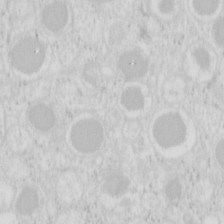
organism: Mouse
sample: Pancreas